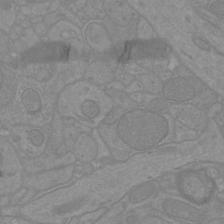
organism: Mouse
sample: Cortical neurons